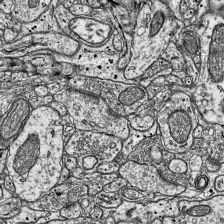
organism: Mouse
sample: Visual Cortex